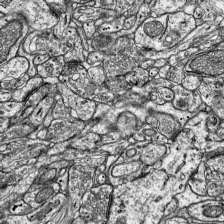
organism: Mouse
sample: Visual Cortex